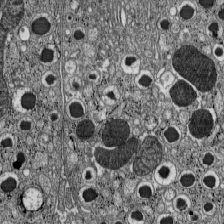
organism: C57BL Mouse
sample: Pancreatic islet